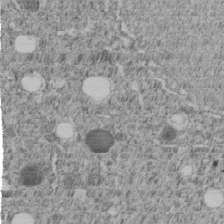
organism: C. elegans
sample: C. elegans embryo early stage